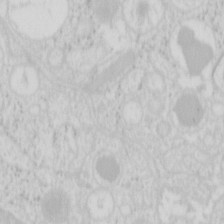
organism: Mouse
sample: Pancreas